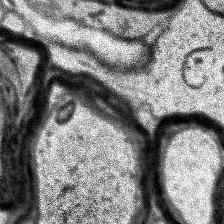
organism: Human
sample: Temporal Lobe